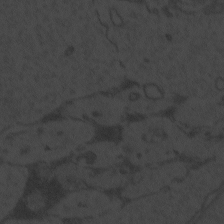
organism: Zebrafish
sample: Macrophage infected with Toxoplasma gondii